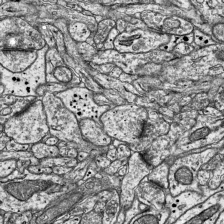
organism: Mouse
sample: Visual Cortex